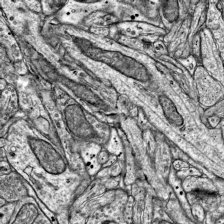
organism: Mouse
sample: Visual Cortex